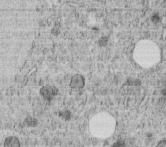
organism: C. elegans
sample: C. elegans embryo early stage